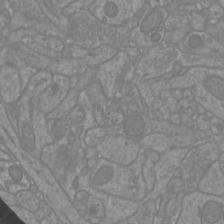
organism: Mouse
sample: Cortical neurons